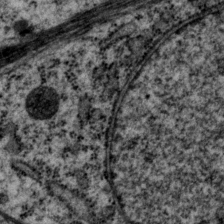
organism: P. pacificus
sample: Pharynx